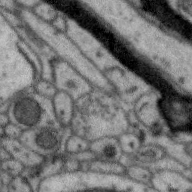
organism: Zebra finch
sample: Brain